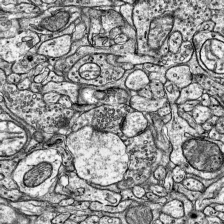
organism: Mouse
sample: Visual Cortex